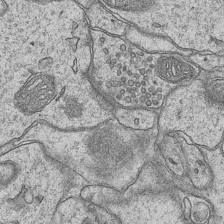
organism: Mouse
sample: CA1 Hippocampus